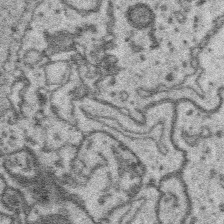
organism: Platynereis dumerilii